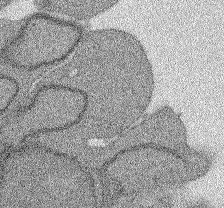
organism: Human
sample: HeLa cells